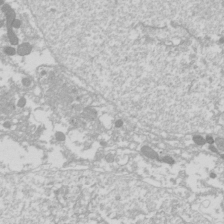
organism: Drosophila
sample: Cell division; meiosis; drosophila spermatocytes